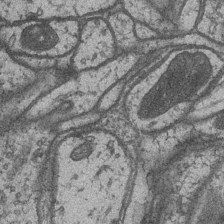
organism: Drosophila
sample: Optic medulla